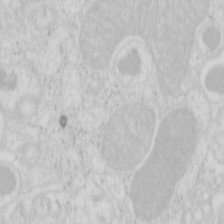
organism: Mouse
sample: Pancreas